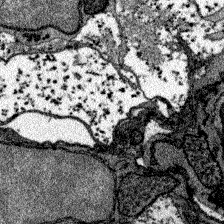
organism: Zebrafish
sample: Larval olfactory bulb